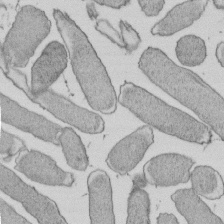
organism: E. coli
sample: Bacterial nucleoid